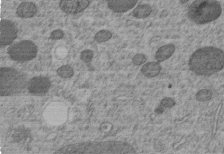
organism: C. elegans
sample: C. elegans embryo early stage